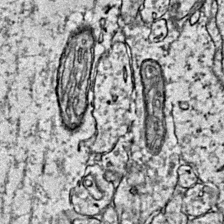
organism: Mouse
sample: Primary visual cortex